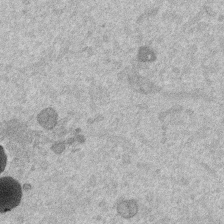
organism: Mouse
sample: Dividing mouse embryo 1 cell stage